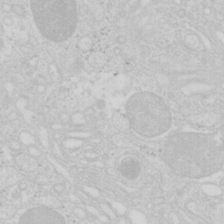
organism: Mouse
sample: Pancreas